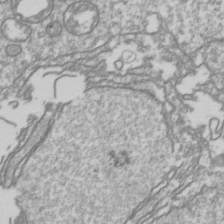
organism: Drosophila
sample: Cell division; meiosis; drosophila spermatocytes